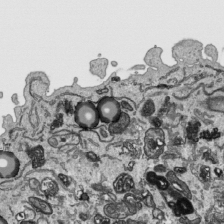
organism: Human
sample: Mitochondria in HCT116 cells